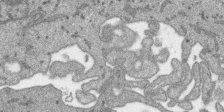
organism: Human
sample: Lung epithelial cells infected with SARS-CoV-2